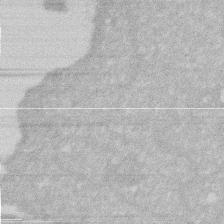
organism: Human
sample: HIV infected U937 cells